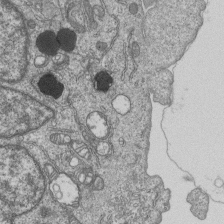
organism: Human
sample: MDA-MB-231 cells